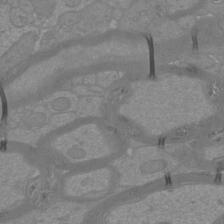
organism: Mouse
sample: Cortical neurons